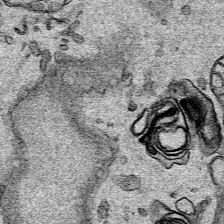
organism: Human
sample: Mitochondria in HCT116 cells